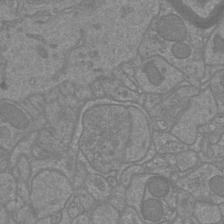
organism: Mouse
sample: Cortical neurons